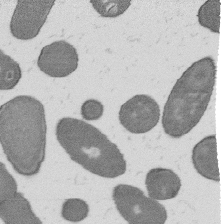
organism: B. subtilis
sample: Bacterial spore